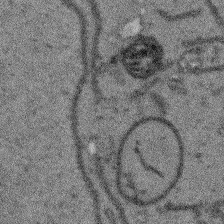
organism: Arabidopsis thaliana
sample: Root tip